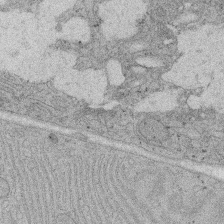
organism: Rat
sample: Salivary granule